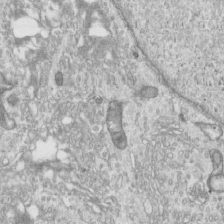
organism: Human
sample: Centriole in RPE cells